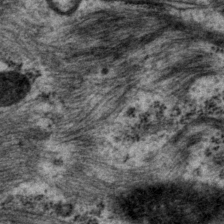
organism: P. pacificus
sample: Pharynx